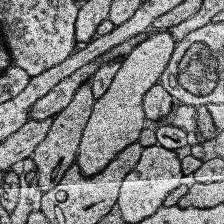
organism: Human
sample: Temporal Lobe